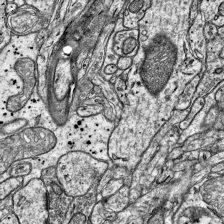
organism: Mouse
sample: Visual Cortex